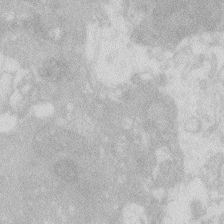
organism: Zebrafish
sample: Macrophage